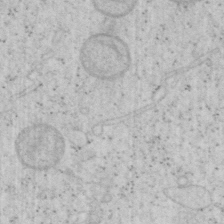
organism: Human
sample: HeLa cells